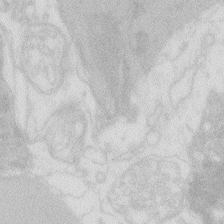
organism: Zebrafish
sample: Macrophage